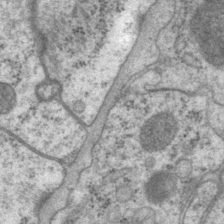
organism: P. pacificus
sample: Pharynx